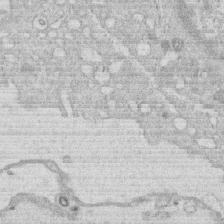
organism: Human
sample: Macrophage cells